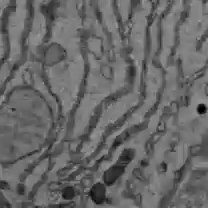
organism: C57BL Mouse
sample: Liver